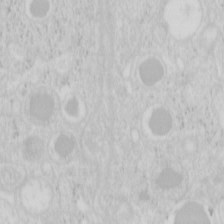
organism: Mouse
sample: Pancreas